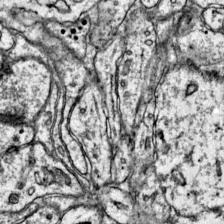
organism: Mouse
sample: Primary visual cortex